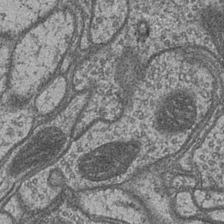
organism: Drosophila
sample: Optic medulla